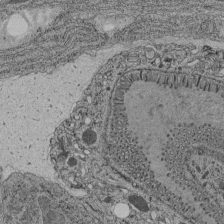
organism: C. elegans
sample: C. elegans pharynx